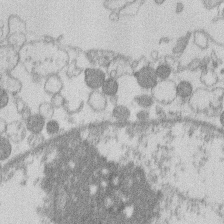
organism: Human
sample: Macrophage cells